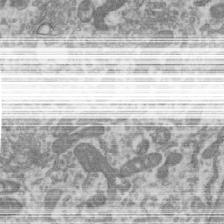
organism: Human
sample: Centriole in RPE cells